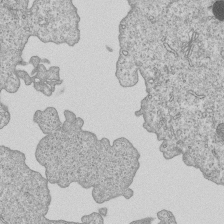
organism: Human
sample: MDA-MB-231 cells